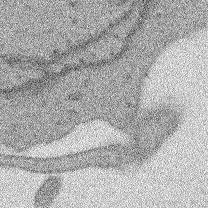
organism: Human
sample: HeLa cells